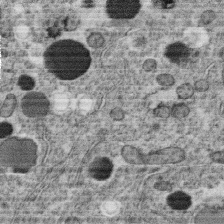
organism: C. elegans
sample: C. elegans oocyte; sperm cells